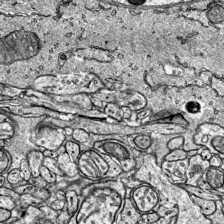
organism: Mouse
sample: Visual Cortex